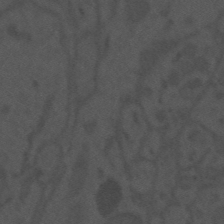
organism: Mouse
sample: Suprachiasmatic nucleus